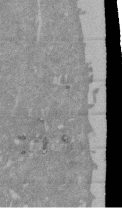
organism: Mouse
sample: ED-1 cell nuclei; centrioles